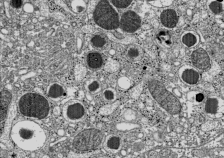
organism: C57BL Mouse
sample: Pancreatic islet